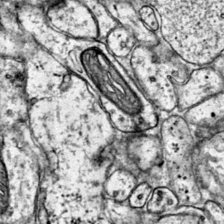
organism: Mouse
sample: Primary visual cortex